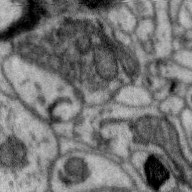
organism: Zebra finch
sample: Brain